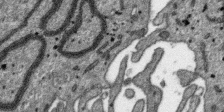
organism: Human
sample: Lung epithelial cells, uninfected (mock) control